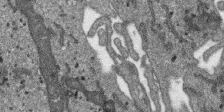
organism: Human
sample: Lung epithelial cells infected with SARS-CoV-2